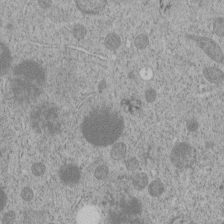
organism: C. elegans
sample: C. elegans embryo early stage